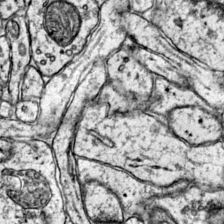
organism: Mouse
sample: Primary visual cortex